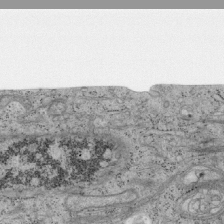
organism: Human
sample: HeLa cells